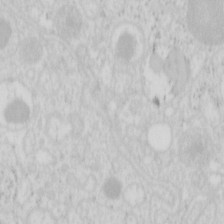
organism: Mouse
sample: Pancreas